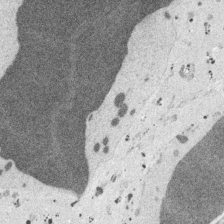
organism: Embia sp.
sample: Silk gland